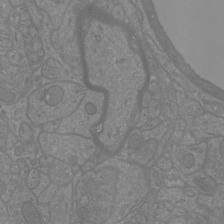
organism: Mouse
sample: Cortical neurons